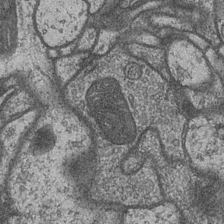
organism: Drosophila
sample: Optic medulla